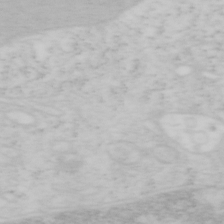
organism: Mouse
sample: OT-I killer T cells with ID8 ovarian cancer cells